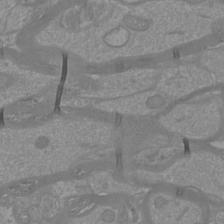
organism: Mouse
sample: Cortical neurons